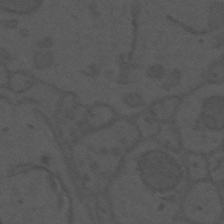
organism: Mouse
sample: Suprachiasmatic nucleus